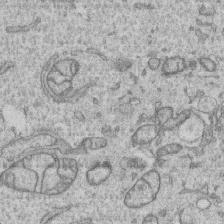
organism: Human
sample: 1205lu cells